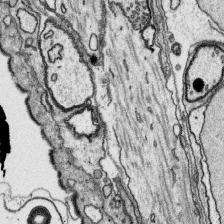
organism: Platynereis dumerilii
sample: Parapodia